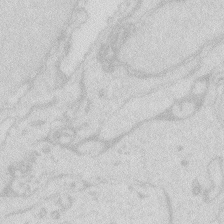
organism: Zebrafish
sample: Macrophage